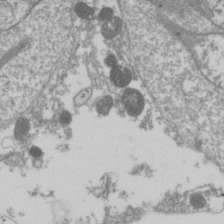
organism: Drosophila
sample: Cell division; meiosis; drosophila spermatocytes